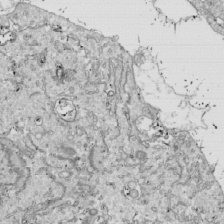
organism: Drosophila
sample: Cell division; meiosis; drosophila spermatocytes